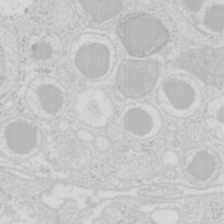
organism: Mouse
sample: Pancreas